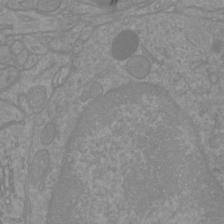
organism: Mouse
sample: Cortical neurons